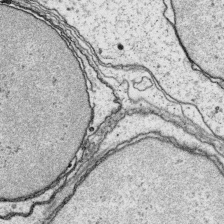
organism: Platynereis dumerilii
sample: Parapodia